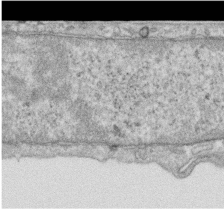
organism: Human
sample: Centriole in RPE cells